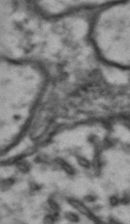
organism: Drosophila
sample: Brain